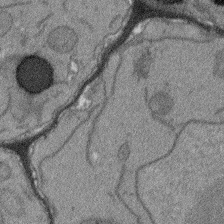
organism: Arabidopsis thaliana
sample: Root tip